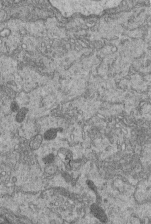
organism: Human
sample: Retinal organoid Rod and Cone cells